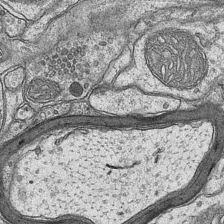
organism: Mouse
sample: CA1 Hippocampus